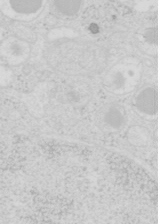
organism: Mouse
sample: Pancreas